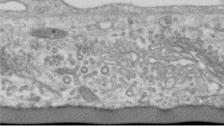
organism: Human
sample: Centriole in RPE cells